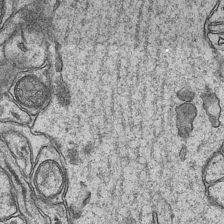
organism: Mouse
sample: CA1 Hippocampus